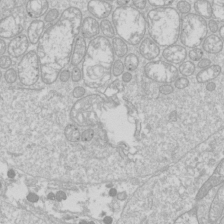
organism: Drosophila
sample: Cell division; meiosis; drosophila spermatocytes